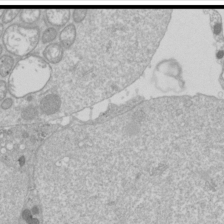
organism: Drosophila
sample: Cell division; meiosis; drosophila spermatocytes